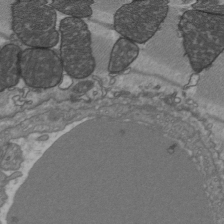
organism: C57BL Mouse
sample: Heart